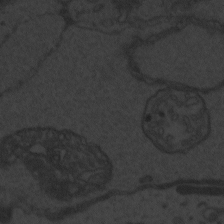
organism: Zebrafish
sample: Macrophage infected with Toxoplasma gondii